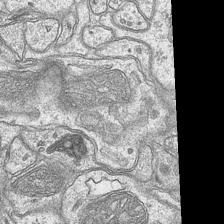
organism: Mouse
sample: CA1 Hippocampus